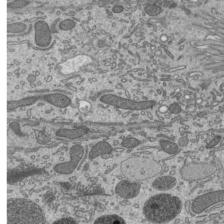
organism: Mouse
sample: Mouse epididymis efferent ductule cilia